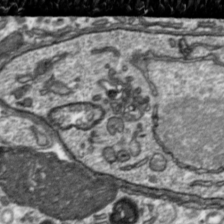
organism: Toxoplasma gondii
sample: Parasites in a vacuole inside a host cell